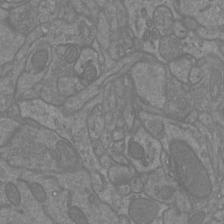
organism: Mouse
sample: Cortical neurons